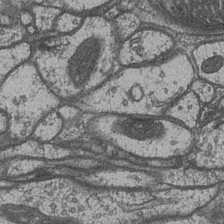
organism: Drosophila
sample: Optic medulla